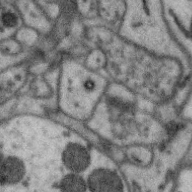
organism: Zebra finch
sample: Brain